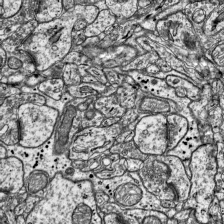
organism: Mouse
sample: Visual Cortex